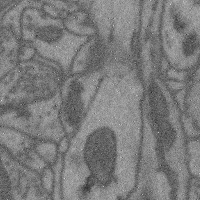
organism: Mouse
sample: Cerebral cortex